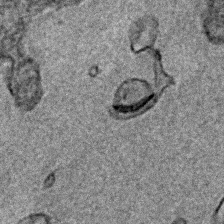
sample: Trachea